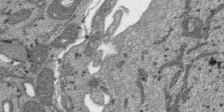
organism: Human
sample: Lung epithelial cells infected with SARS-CoV-2